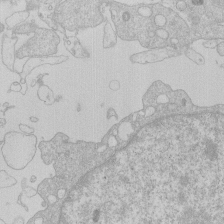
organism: Human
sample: Macrophage cells